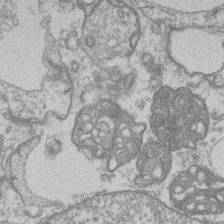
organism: Mouse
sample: T cell stromal cell synapse